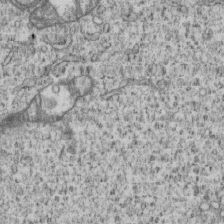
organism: Human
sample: MDA-MB-231 cells